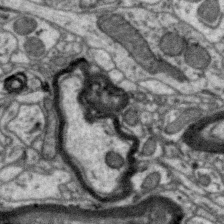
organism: Zebra finch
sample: Brain